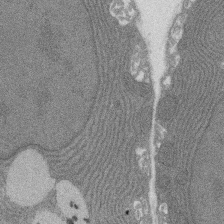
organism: Rat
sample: Salivary granule